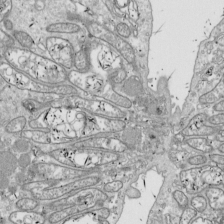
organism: Drosophila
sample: Cell division; meiosis; drosophila spermatocytes